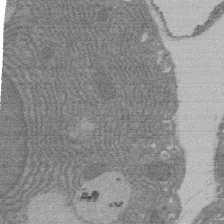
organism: Rat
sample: Salivary granule